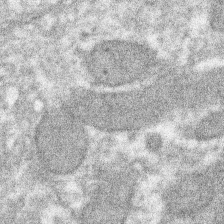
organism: Xenopus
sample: Cilia; centrioles in frog embryo cells